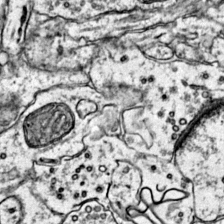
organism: Mouse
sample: Primary visual cortex